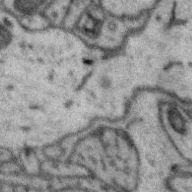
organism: Zebra finch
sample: Brain